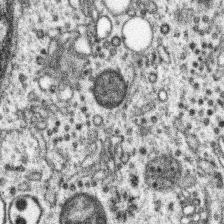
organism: Human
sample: HeLa cells